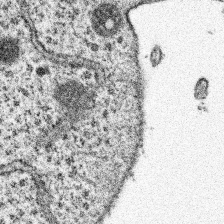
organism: Human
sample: HeLa cells